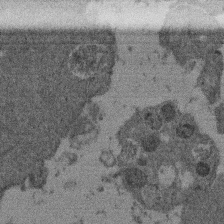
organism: Mouse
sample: Dividing mouse embryo 1 cell stage